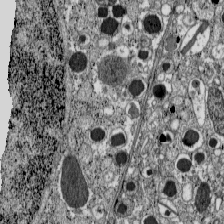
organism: C57BL Mouse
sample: Pancreatic islet